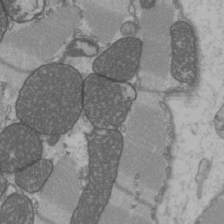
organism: C57BL Mouse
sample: Heart